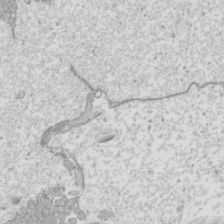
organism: Mouse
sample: Cilia; mouse epididymis